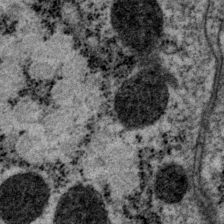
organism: P. pacificus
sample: Pharynx